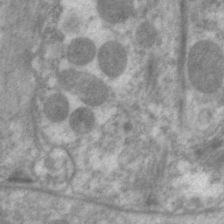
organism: C. elegans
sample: Pharynx